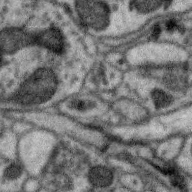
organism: Zebra finch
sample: Brain